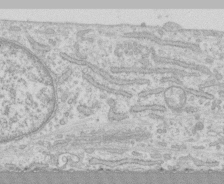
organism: Human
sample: CRL-1474